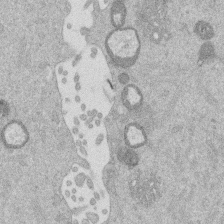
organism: Mouse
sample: Dividing mouse embryo 1 cell stage